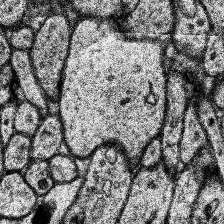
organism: Human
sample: Temporal Lobe